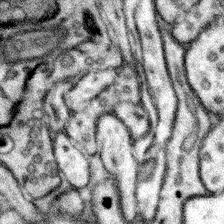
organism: Mouse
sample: Somatosensory cortex neuropil